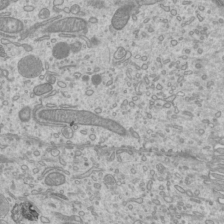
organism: Mouse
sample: Cilia; mouse epididymis